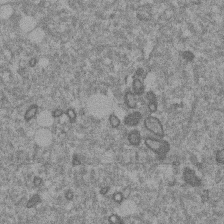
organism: Mouse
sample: Dividing mouse embryo 1 cell stage